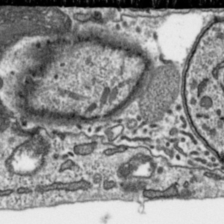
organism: Toxoplasma gondii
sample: Parasites in a vacuole inside a host cell